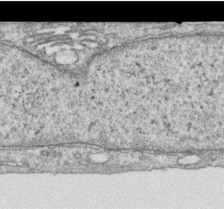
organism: Human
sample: Centriole in RPE cells